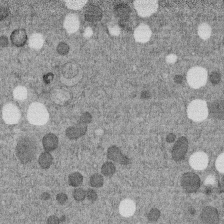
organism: C. elegans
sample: C. elegans embryo early stage